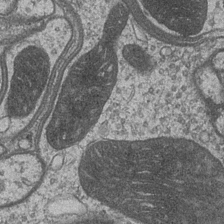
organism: Drosophila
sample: Optic medulla